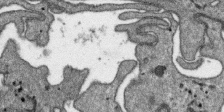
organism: Human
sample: Lung epithelial cells, uninfected (mock) control